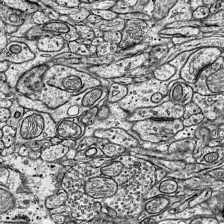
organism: Mouse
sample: Visual Cortex